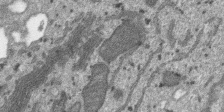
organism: Human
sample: Lung epithelial cells infected with SARS-CoV-2